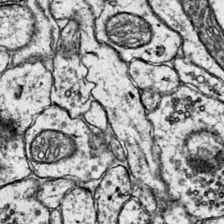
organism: Mouse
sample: Primary visual cortex